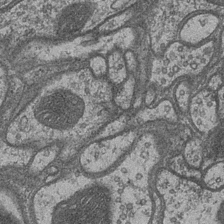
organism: Drosophila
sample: Optic medulla